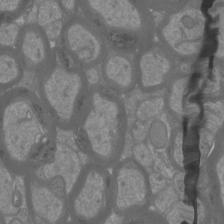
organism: Mouse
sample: Cortical neurons